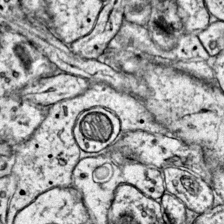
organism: Mouse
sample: Primary visual cortex